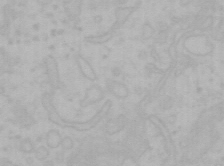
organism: Mouse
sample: Choroid plexus